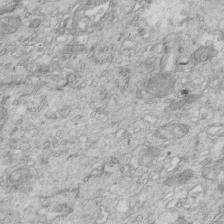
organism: Mouse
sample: Multiciliated cells